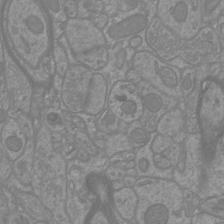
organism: Mouse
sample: Cortical neurons